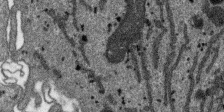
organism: Human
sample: Lung epithelial cells infected with SARS-CoV-2